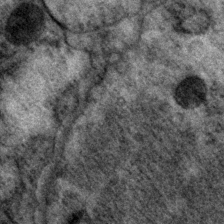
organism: P. pacificus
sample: Pharynx